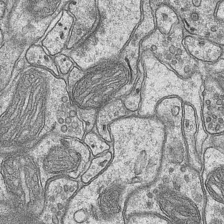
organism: Mouse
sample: CA1 Hippocampus